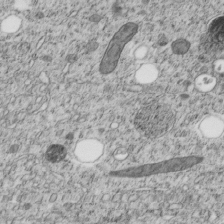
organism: C. elegans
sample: C. elegans embryo early stage